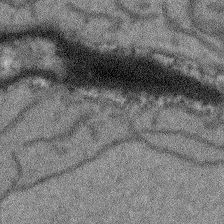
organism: Arabidopsis thaliana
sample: Root tip